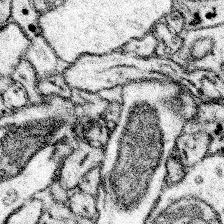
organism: Mouse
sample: Somatosensory cortex neuropil